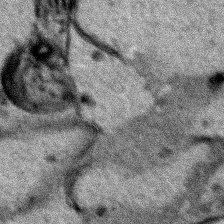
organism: Human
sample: Mitochondria in HCT116 cells